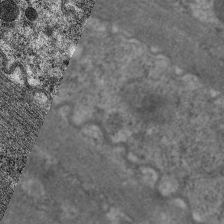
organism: C. elegans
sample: Pharynx